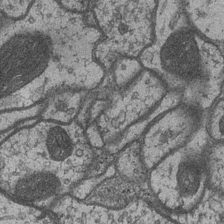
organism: Drosophila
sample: Optic medulla